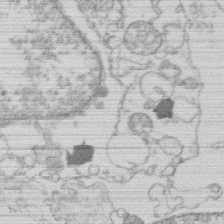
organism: Human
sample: Macrophage cells